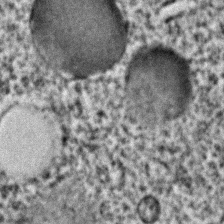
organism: C. elegans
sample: C. elegans embryo